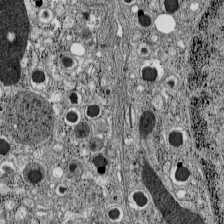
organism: C57BL Mouse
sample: Pancreatic islet